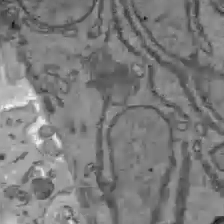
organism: C57BL Mouse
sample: Liver